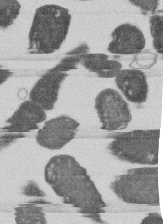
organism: E. coli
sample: Bacterial nucleoid